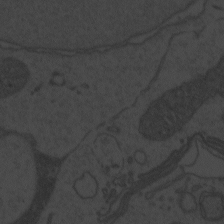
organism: Zebrafish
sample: Macrophage infected with Toxoplasma gondii